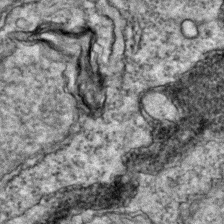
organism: Zebrafish